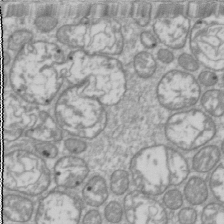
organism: Drosophila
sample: Cell division; meiosis; drosophila spermatocytes